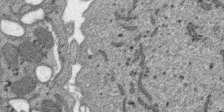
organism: Human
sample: Lung epithelial cells infected with SARS-CoV-2